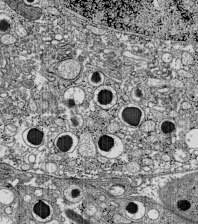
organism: C57BL Mouse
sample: Pancreatic islet